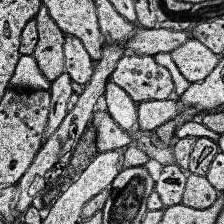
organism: Human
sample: Temporal Lobe